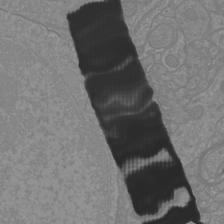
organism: Mouse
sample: Cortical neurons